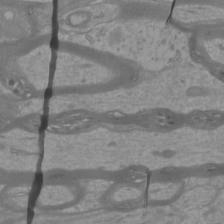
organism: Mouse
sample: Cortical neurons